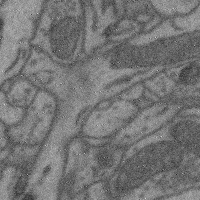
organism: Mouse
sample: Cerebral cortex